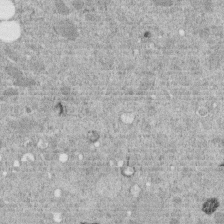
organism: C. elegans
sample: C. elegans embryo early stage